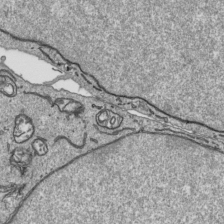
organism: Human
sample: Mitochondria in HCT116 cells